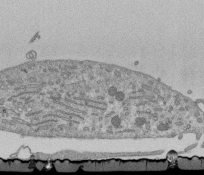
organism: Mouse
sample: ED-1 cell nuclei; centrioles